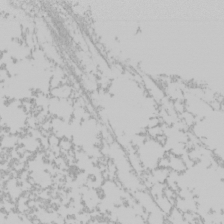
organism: Mouse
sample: Cancer cell death in ED-1 cells